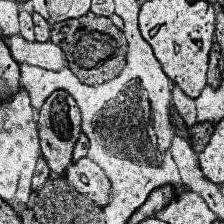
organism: Human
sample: Temporal Lobe